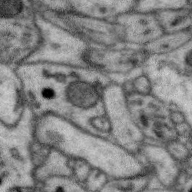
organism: Zebra finch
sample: Brain